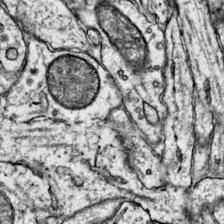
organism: Mouse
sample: Primary visual cortex